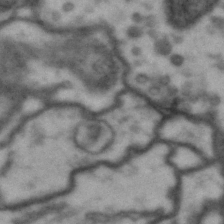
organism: Drosophila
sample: Brain